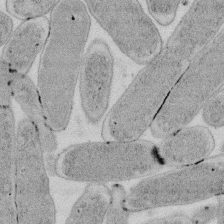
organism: E. coli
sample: Bacterial nucleoid